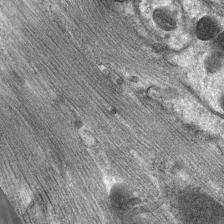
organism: C. elegans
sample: Pharynx